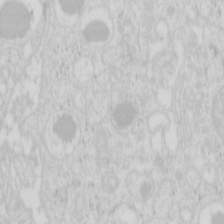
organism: Mouse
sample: Pancreas